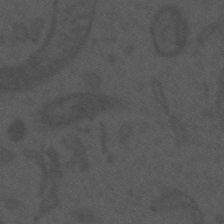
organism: Mouse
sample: Suprachiasmatic nucleus